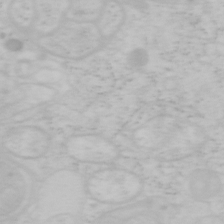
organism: Mouse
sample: OT-I killer T cells with ID8 ovarian cancer cells